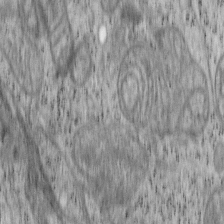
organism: Human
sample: HeLa cells